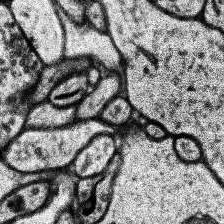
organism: Human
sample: Temporal Lobe